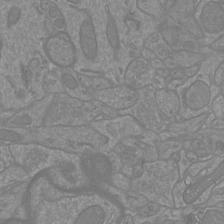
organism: Mouse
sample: Cortical neurons